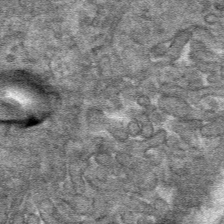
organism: Mouse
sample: Mouse hepatocytes